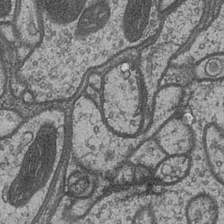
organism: Drosophila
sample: Optic medulla